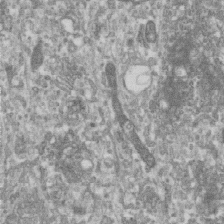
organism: Human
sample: Centriole in RPE cells